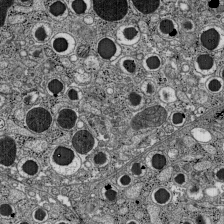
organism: C57BL Mouse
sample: Pancreatic islet